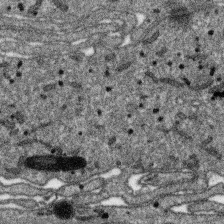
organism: Human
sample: Lung epithelial cells infected with SARS-CoV-2